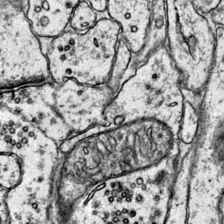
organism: Mouse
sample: Primary visual cortex